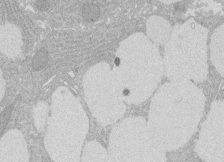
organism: Rat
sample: Salivary granule